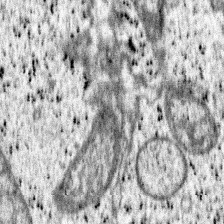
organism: Human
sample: HeLa cells